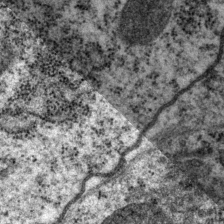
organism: P. pacificus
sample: Pharynx